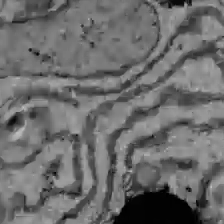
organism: C57BL Mouse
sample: Liver